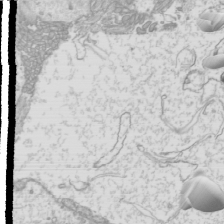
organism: Mouse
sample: Cilia; mouse epididymis